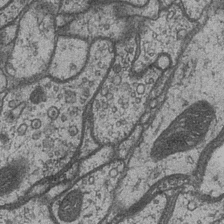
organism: Drosophila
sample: Optic medulla